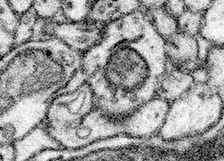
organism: Mouse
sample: Somatosensory cortex neuropil